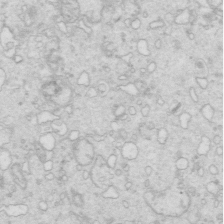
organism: Mouse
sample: Multiciliated cells